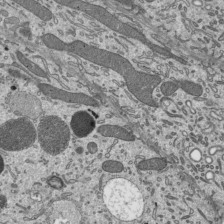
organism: Mouse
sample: Mouse epididymis efferent ductule cilia